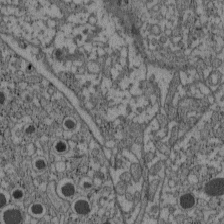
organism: C57BL Mouse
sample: Pancreatic islet